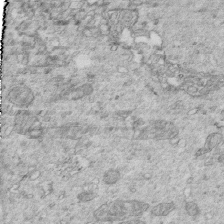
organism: Mouse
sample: Multiciliated cells